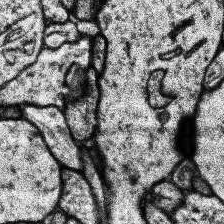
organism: Human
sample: Temporal Lobe